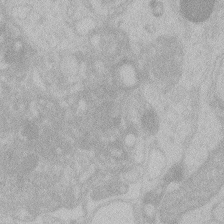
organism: Zebrafish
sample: Macrophage infected with Toxoplasma gondii